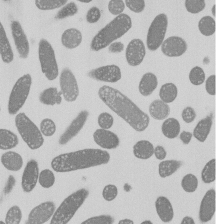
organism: E. coli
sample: Bacterial nucleoid